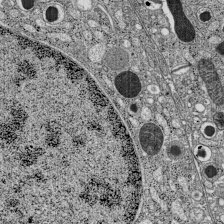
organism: C57BL Mouse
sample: Pancreatic islet